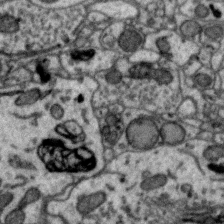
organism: Zebra finch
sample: Brain